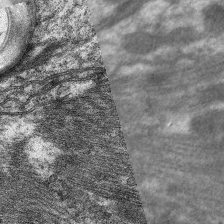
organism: C. elegans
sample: Pharynx